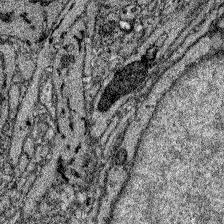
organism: Zebrafish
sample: Larval olfactory bulb